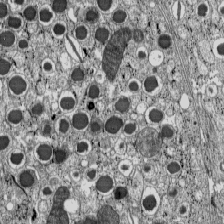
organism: C57BL Mouse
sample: Pancreatic islet